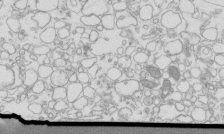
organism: Mouse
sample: Macrophages